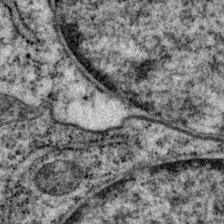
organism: P. pacificus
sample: Pharynx